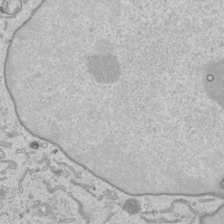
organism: Human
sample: Mitochondria in HCT116 cells